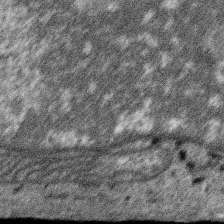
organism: Human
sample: Lung epithelial cells infected with SARS-CoV-2